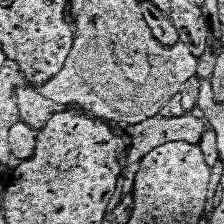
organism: Human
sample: Temporal Lobe